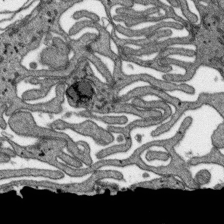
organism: Human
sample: Lung epithelial cells, uninfected (mock) control